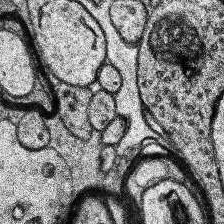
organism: Human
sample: Temporal Lobe